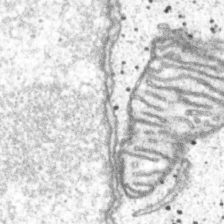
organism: Human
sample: HeLa cells